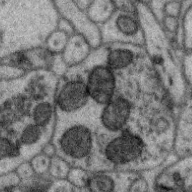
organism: Zebra finch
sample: Brain